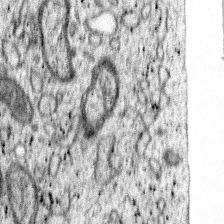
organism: Human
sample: HeLa cells